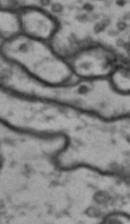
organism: Drosophila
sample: Brain